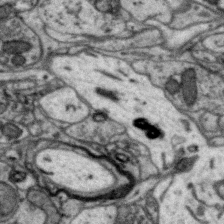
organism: Zebra finch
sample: Brain